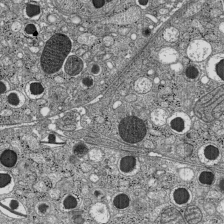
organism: C57BL Mouse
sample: Pancreatic islet